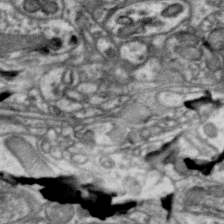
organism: Zebra finch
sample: Brain